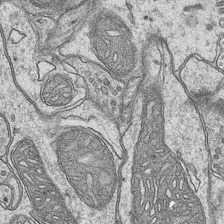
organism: Mouse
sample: CA1 Hippocampus